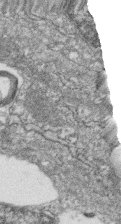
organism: Zebrafish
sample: Cilia; retinal pigment epithelium